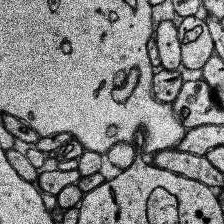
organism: Human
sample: Temporal Lobe